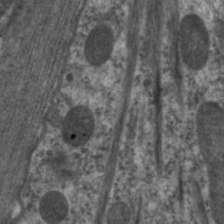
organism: C. elegans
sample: Pharynx